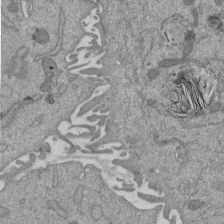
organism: Mouse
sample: ED-1 cell nuclei; centrioles